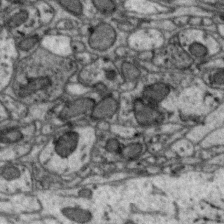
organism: Zebra finch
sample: Brain